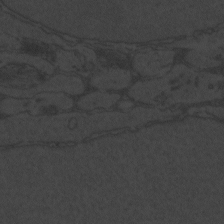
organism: Zebrafish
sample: Macrophage infected with Toxoplasma gondii